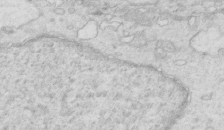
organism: Mouse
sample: Multiciliated cells